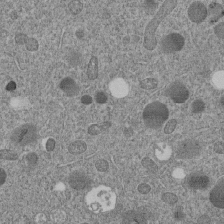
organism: C. elegans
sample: C. elegans embryo early stage